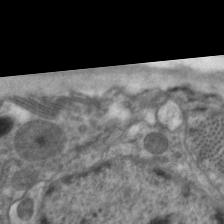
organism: C. elegans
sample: Pharynx